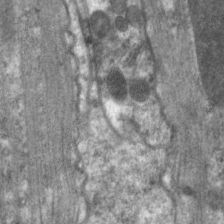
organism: C. elegans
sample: Pharynx